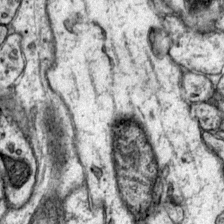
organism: Mouse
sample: Primary visual cortex